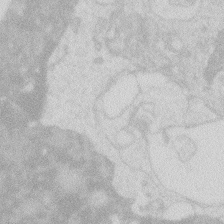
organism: Zebrafish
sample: Macrophage